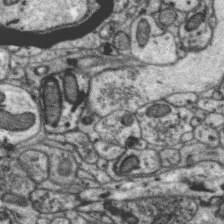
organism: Zebra finch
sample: Brain